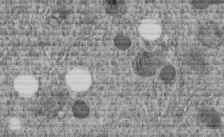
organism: C. elegans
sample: C. elegans embryo early stage